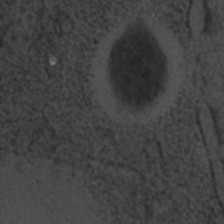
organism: C. elegans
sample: C. elegans embryo